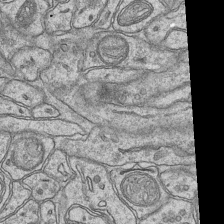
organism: Mouse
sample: CA1 Hippocampus